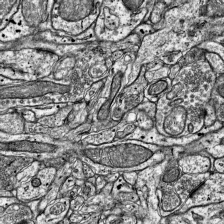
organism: Mouse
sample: Visual Cortex